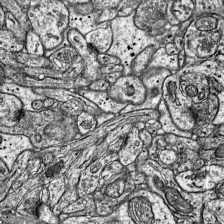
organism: Mouse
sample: Visual Cortex